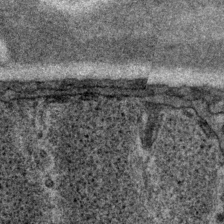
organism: P. pacificus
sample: Pharynx